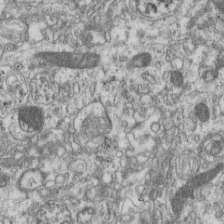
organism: Mouse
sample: Centriole in ependymal cells